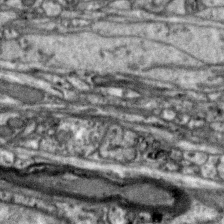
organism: Zebra finch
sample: Brain